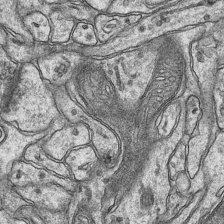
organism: Mouse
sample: CA1 Hippocampus